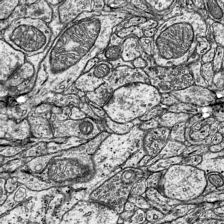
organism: Mouse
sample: Visual Cortex